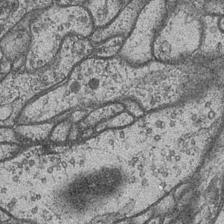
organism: Drosophila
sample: Optic medulla